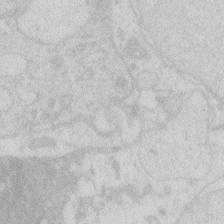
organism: Zebrafish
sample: Macrophage